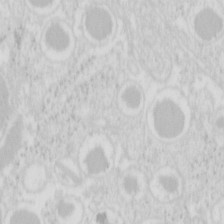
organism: Mouse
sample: Pancreas